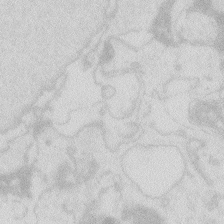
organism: Zebrafish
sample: Macrophage